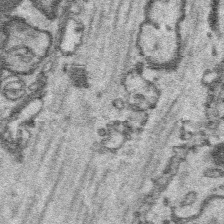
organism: Platynereis dumerilii